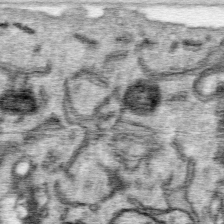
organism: Human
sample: HeLa cells